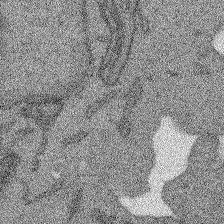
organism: Human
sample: HeLa cells